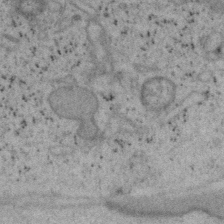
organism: Human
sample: HeLa cells